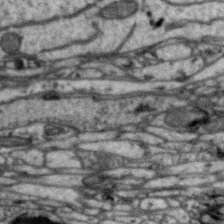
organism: Zebra finch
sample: Brain